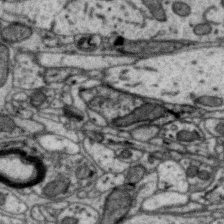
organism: Zebra finch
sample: Brain